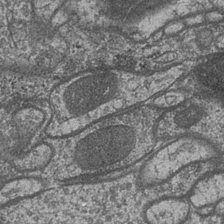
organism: Drosophila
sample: Optic medulla